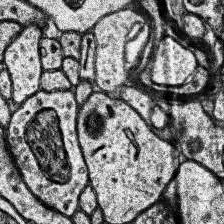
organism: Human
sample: Temporal Lobe